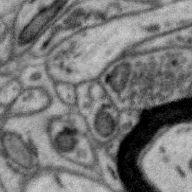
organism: Zebra finch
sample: Brain